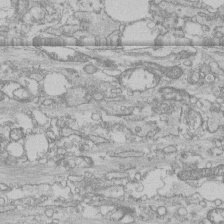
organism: Human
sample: CRL-1474